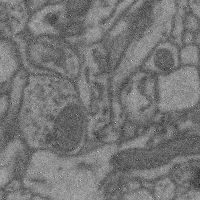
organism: Mouse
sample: Cerebral cortex